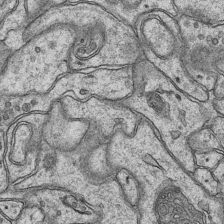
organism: Mouse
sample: CA1 Hippocampus